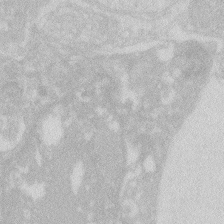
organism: Zebrafish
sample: Macrophage